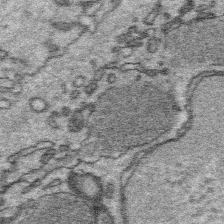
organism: Platynereis dumerilii